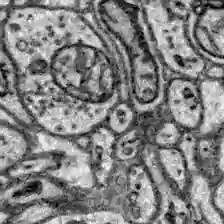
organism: Zebrafish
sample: Brain